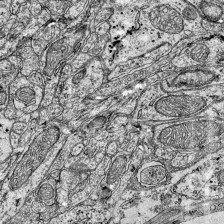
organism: Mouse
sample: Visual Cortex